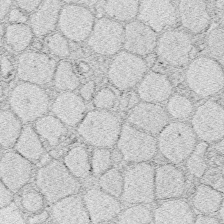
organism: Zebrafish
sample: Whole-Brain